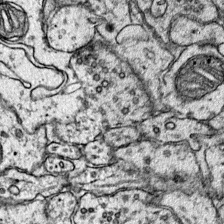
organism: Mouse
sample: Primary visual cortex